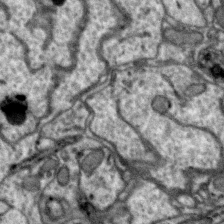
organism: Zebra finch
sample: Brain